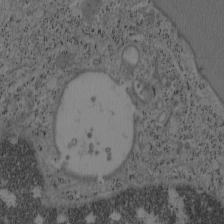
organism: Mouse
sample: OT-I killer T cells with ID8 ovarian cancer cells